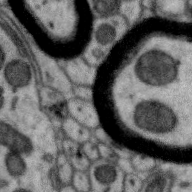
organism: Zebra finch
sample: Brain